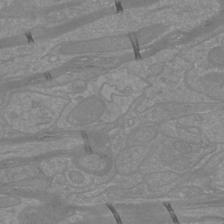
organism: Mouse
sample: Cortical neurons